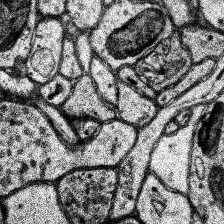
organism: Human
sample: Temporal Lobe